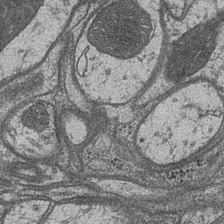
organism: Drosophila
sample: Optic medulla